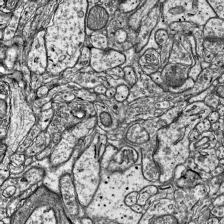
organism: Mouse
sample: Visual Cortex